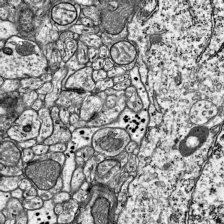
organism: Mouse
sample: Visual Cortex